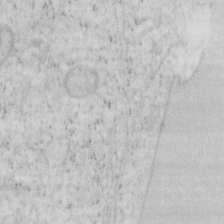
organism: Human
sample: HeLa cells